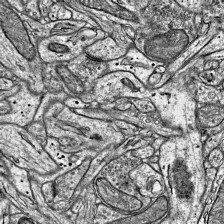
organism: Mouse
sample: Visual Cortex